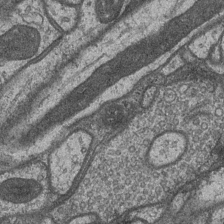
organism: Drosophila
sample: Optic medulla